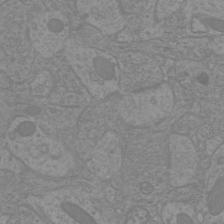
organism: Mouse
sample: Cortical neurons